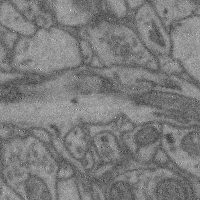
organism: Mouse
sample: Cerebral cortex